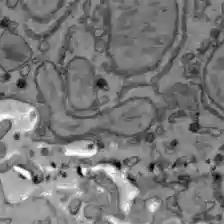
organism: C57BL Mouse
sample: Liver